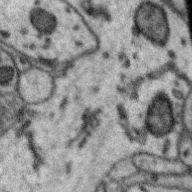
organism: Zebra finch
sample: Brain